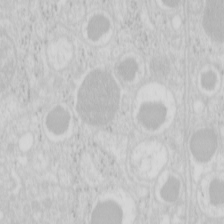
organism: Mouse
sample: Pancreas